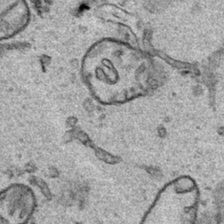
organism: Human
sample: Mitochondria in HCT116 cells